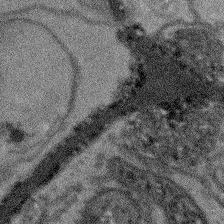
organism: Arabidopsis thaliana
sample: Root tip